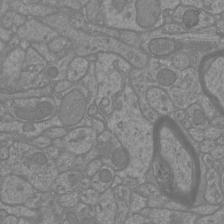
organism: Mouse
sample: Cortical neurons